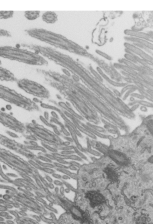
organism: Mouse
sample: Mouse epididymis efferent ductule cilia